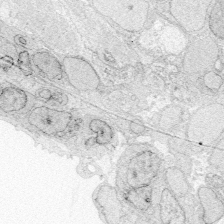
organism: Zebrafish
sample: Whole-Brain